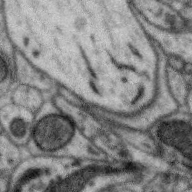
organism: Zebra finch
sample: Brain